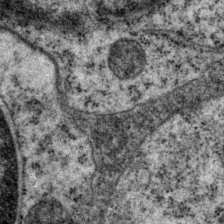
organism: P. pacificus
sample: Pharynx